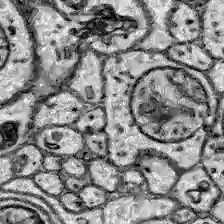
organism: Zebrafish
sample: Brain